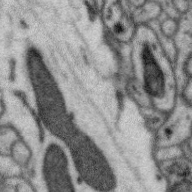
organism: Zebra finch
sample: Brain